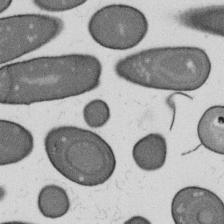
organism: B. subtilis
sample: Bacterial spore